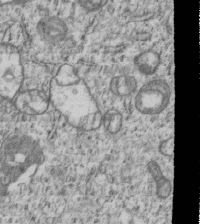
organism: Human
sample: MDA-MB-231 cells